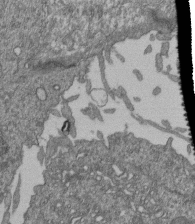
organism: Human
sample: Retinal organoid Rod and Cone cells